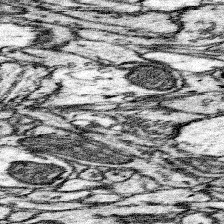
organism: Mouse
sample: Somatosensory cortex neuropil